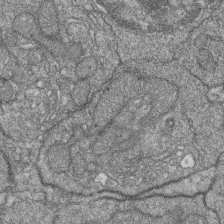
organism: Zebrafish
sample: Cilia; retinal pigment epithelium